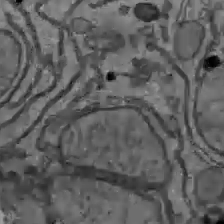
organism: C57BL Mouse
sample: Liver